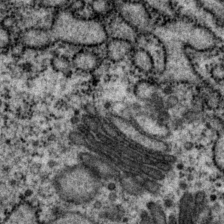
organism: P. pacificus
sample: Pharynx